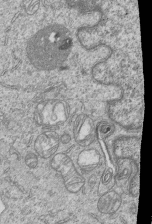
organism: Human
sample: MDA-MB-231 cells